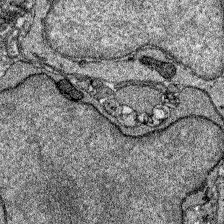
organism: Zebrafish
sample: Larval olfactory bulb